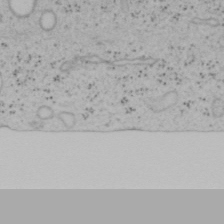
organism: Human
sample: HeLa cells